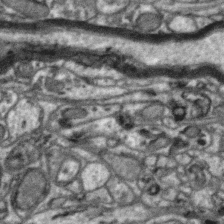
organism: Zebra finch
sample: Brain